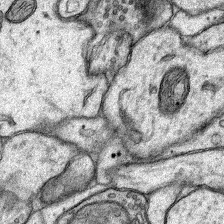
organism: Rat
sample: Hippocampus